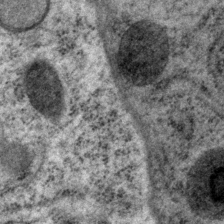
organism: P. pacificus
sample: Pharynx